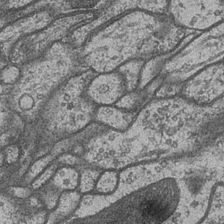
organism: Drosophila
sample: Optic medulla